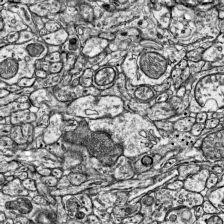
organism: Mouse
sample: Visual Cortex